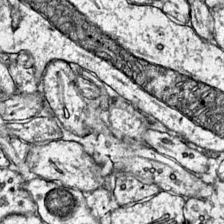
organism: Mouse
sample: Primary visual cortex